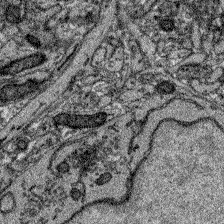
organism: Zebrafish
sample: Larval olfactory bulb